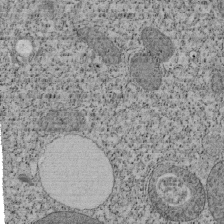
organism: Tetrahymena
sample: Cilia in tetrahymena